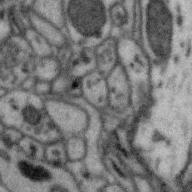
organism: Zebra finch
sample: Brain